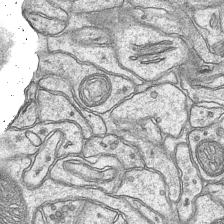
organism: Mouse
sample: CA1 Hippocampus